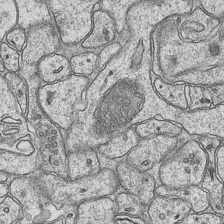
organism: Mouse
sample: CA1 Hippocampus